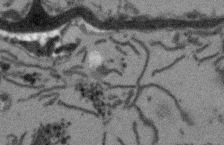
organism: Arabidopsis thaliana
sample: Root tip